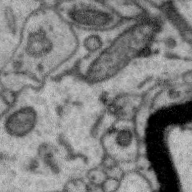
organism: Zebra finch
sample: Brain